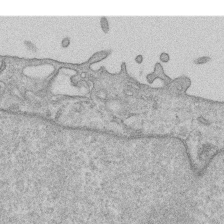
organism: Human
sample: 1205lu cells